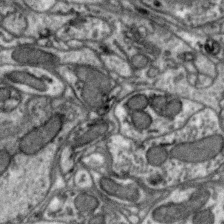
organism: Zebra finch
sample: Brain